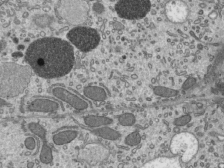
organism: Mouse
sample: Mouse epididymis efferent ductule cilia